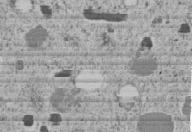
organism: C. elegans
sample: C. elegans embryo early stage